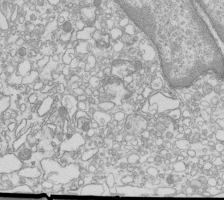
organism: Mouse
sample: Macrophages